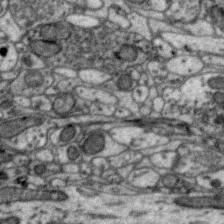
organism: Zebra finch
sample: Brain